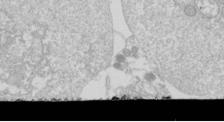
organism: Drosophila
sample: Cell division; meiosis; drosophila spermatocytes